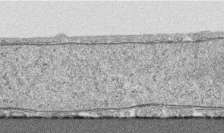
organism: Human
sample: CRL-1474